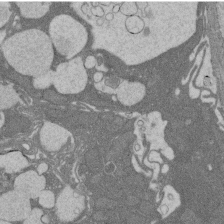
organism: Rat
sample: Salivary granule